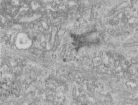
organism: Human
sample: Centriole in RPE cells